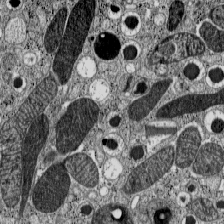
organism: C57BL Mouse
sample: Pancreatic islet